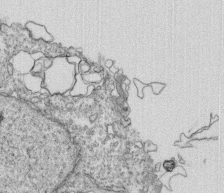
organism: Human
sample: HeLa cell HIV synapse